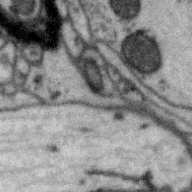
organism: Zebra finch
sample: Brain